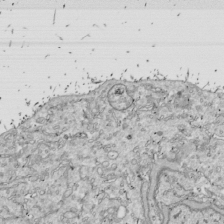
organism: Drosophila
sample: Cell division; meiosis; drosophila spermatocytes